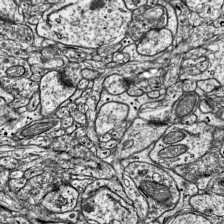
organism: Mouse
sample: Visual Cortex